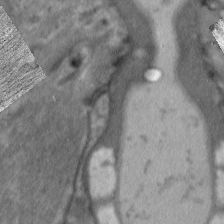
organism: C. elegans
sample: Pharynx